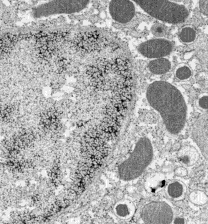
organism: C57BL Mouse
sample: Pancreatic islet